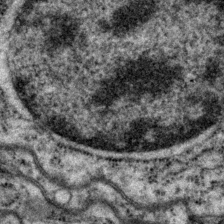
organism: P. pacificus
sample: Pharynx